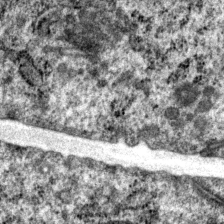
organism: P. pacificus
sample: Pharynx